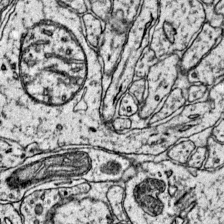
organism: Mouse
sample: Primary visual cortex